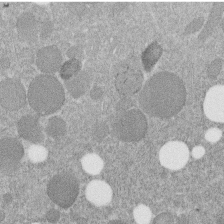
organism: C. elegans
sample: C. elegans embryo early stage